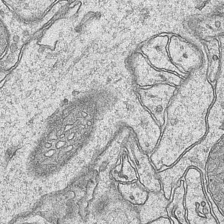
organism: Mouse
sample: CA1 Hippocampus